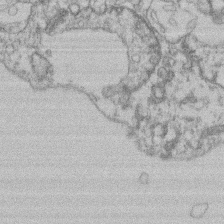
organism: Mouse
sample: T cell stromal cell synapse